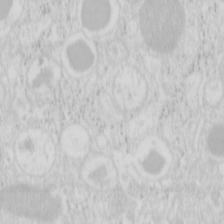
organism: Mouse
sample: Pancreas